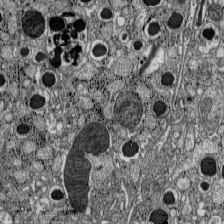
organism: C57BL Mouse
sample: Pancreatic islet